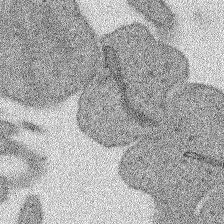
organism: Human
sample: HeLa cells